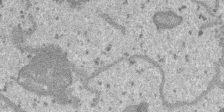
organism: Human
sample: Lung epithelial cells infected with SARS-CoV-2